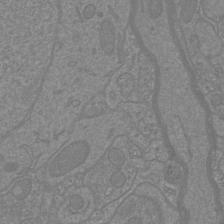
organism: Mouse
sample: Cortical neurons